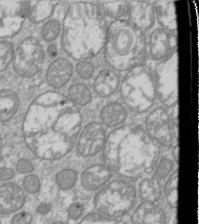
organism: Drosophila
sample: Cell division; meiosis; drosophila spermatocytes